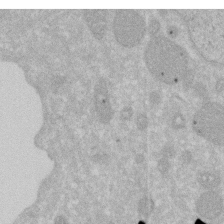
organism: Human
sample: HIV infected U937 cells